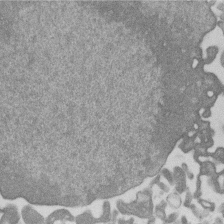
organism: Mouse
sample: Dividing mouse embryo 1 cell stage